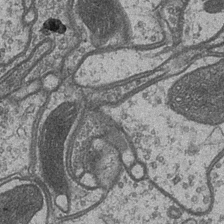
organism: Drosophila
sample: Optic medulla